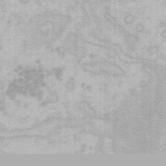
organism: Mouse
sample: Choroid plexus